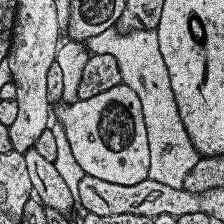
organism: Human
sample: Temporal Lobe